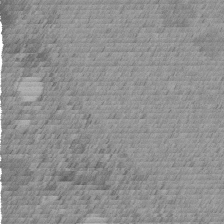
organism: C. elegans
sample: C. elegans embryo early stage